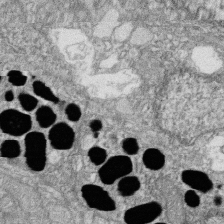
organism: Zebrafish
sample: Cilia; retinal pigment epithelium